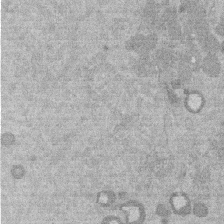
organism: Mouse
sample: Dividing mouse embryo 1 cell stage